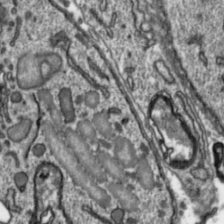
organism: Toxoplasma gondii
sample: Parasites in a vacuole inside a host cell